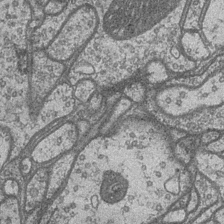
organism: Drosophila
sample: Optic medulla